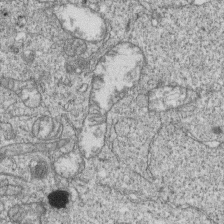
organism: Human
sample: HeLa cell HIV synapse